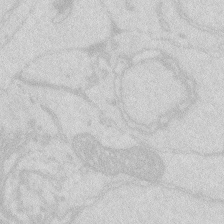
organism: Zebrafish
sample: Macrophage